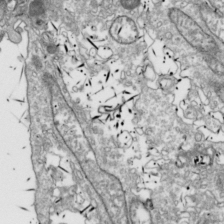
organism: Drosophila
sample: Cell division; meiosis; drosophila spermatocytes